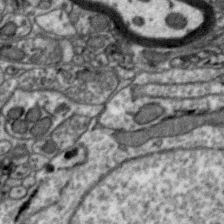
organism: Zebra finch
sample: Brain